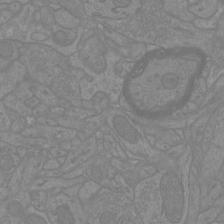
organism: Mouse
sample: Cortical neurons